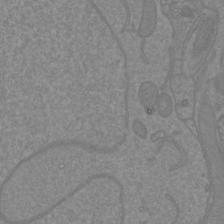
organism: Mouse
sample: Cortical neurons